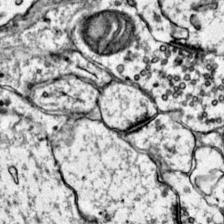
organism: Mouse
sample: Primary visual cortex